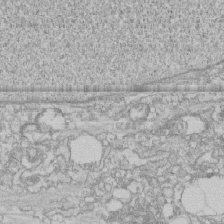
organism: Human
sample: CRL-1474